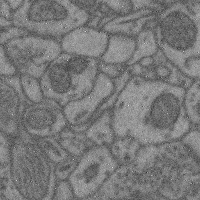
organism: Mouse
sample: Cerebral cortex